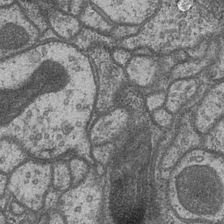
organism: Drosophila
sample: Optic medulla